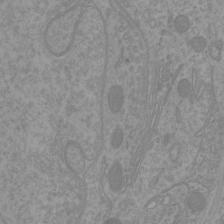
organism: Mouse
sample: Cortical neurons